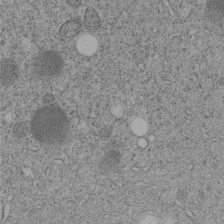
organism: C. elegans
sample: C. elegans embryo early stage